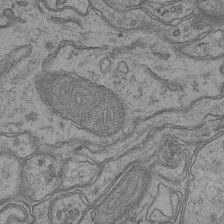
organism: Mouse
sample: CA1 Hippocampus